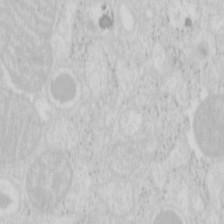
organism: Mouse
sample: Pancreas